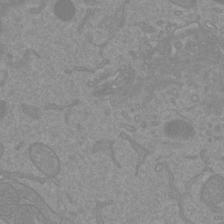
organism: Mouse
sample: Cortical neurons